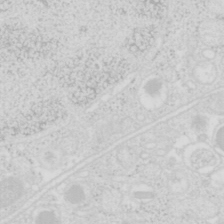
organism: Mouse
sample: Pancreas